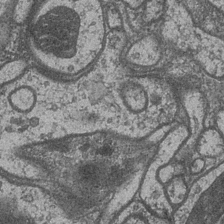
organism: Drosophila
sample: Optic medulla